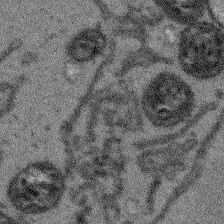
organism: Arabidopsis thaliana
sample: Root tip